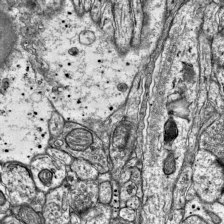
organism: Mouse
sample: Visual Cortex